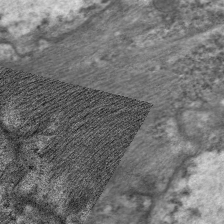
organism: C. elegans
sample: Pharynx